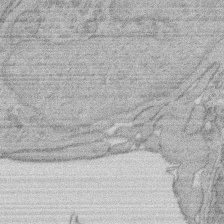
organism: Rat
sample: Salivary granule